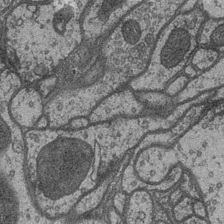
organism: Drosophila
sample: Optic medulla